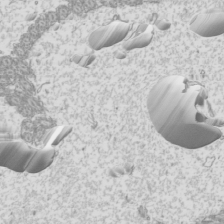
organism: Mouse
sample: Cilia; mouse epididymis